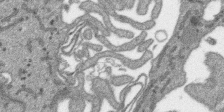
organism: Human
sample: Lung epithelial cells infected with SARS-CoV-2